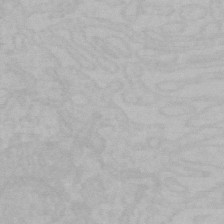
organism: Mouse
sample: Choroid plexus